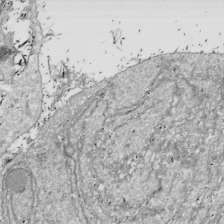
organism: Drosophila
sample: Cell division; meiosis; drosophila spermatocytes